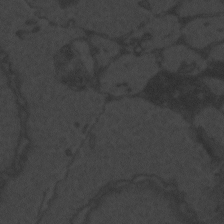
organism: Zebrafish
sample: Macrophage infected with Toxoplasma gondii